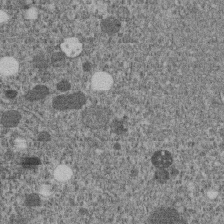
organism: C. elegans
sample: C. elegans embryo early stage